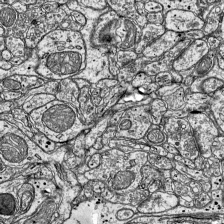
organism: Mouse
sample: Visual Cortex